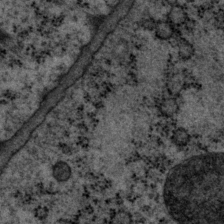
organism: P. pacificus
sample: Pharynx